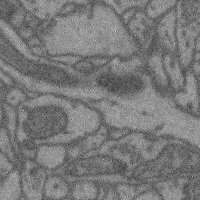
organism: Mouse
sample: Cerebral cortex